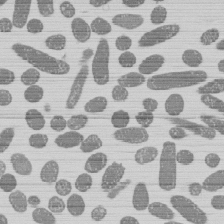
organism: E. coli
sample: Bacterial nucleoid